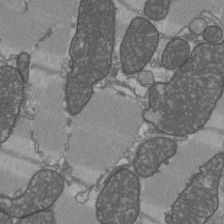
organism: C57BL Mouse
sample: Heart